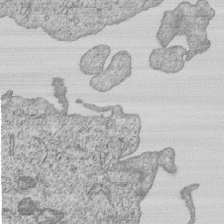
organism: Human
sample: MDA-MB-231 cells